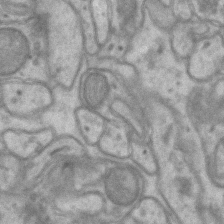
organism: Mouse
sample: CA1 Hippocampus